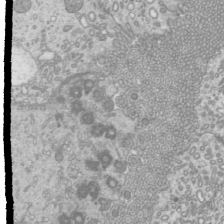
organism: Mouse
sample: Cilia; mouse epididymis